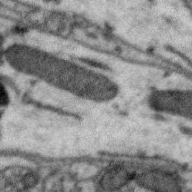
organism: Zebra finch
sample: Brain